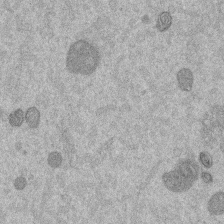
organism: Mouse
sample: Dividing mouse embryo 1 cell stage